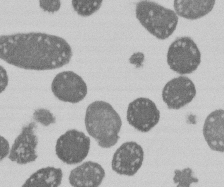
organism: E. coli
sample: Bacterial nucleoid